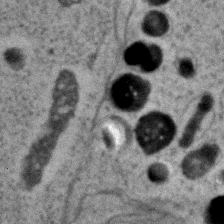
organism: Zebrafish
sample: Zebrafish embryo